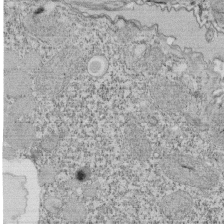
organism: Tetrahymena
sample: Cilia in tetrahymena